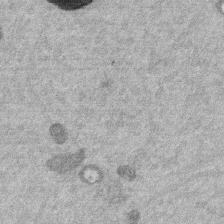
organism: Mouse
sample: Dividing mouse embryo 1 cell stage